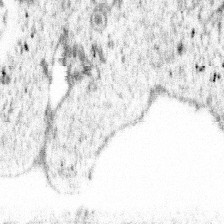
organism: Human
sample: HeLa cells